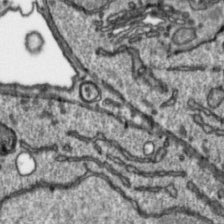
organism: Toxoplasma gondii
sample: Parasites in a vacuole inside a host cell